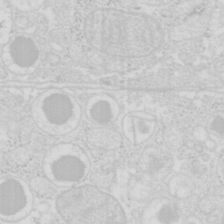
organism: Mouse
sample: Pancreas